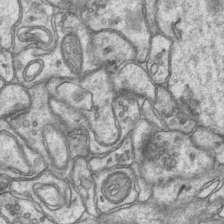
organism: Mouse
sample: CA1 Hippocampus